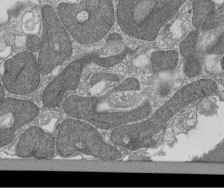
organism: Tetrahymena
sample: Cilia in tetrahymena